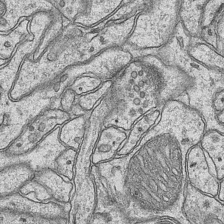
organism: Mouse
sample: CA1 Hippocampus